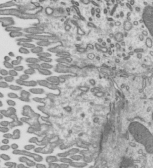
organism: Mouse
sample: Mouse epididymis efferent ductule cilia